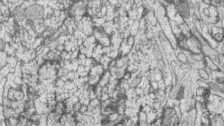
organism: Zebrafish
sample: synaptic ribbons in rod cells and cone cells